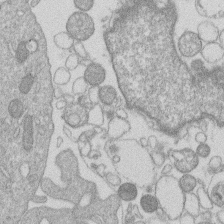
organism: Human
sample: Macrophage cells